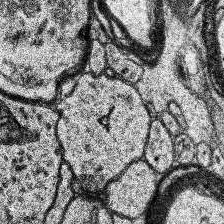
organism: Human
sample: Temporal Lobe